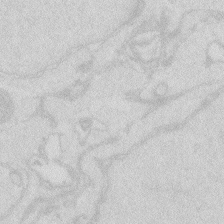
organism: Zebrafish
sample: Macrophage